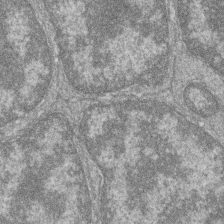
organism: Zebrafish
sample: Cilia; retinal pigment epithelium